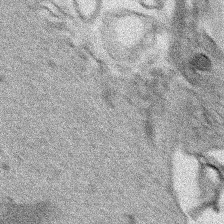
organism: Human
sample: Mitochondria in HCT116 cells